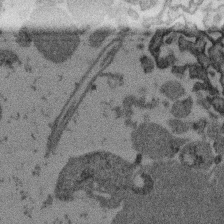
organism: Mouse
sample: Dividing mouse embryo 1 cell stage